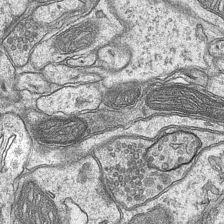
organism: Mouse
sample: CA1 Hippocampus